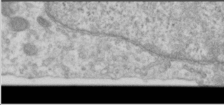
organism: Human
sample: Cilia; basal body in RPE cells